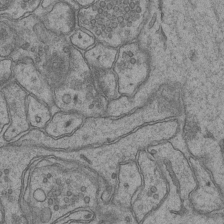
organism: Mouse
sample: CA1 Hippocampus